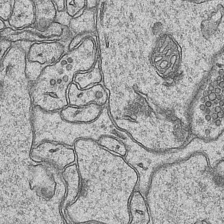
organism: Mouse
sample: CA1 Hippocampus